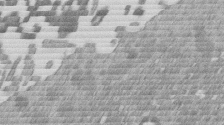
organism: Mouse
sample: Dividing mouse embryo 1 cell stage